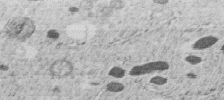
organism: C. elegans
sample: C. elegans embryo early stage